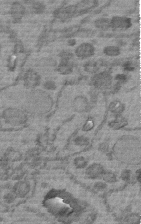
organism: C. elegans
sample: C. elegans embryo early stage